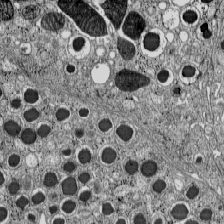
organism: C57BL Mouse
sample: Pancreatic islet